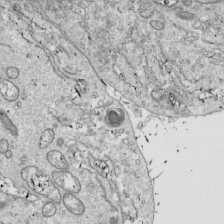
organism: Drosophila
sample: Cell division; meiosis; drosophila spermatocytes